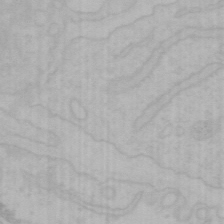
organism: Mouse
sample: Choroid plexus